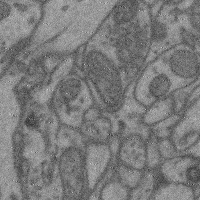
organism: Mouse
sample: Cerebral cortex